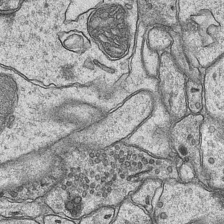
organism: Mouse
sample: CA1 Hippocampus